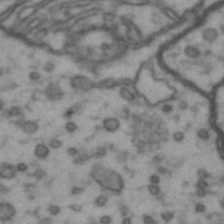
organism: Drosophila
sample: Brain